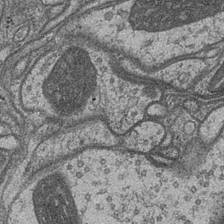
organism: Drosophila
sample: Optic medulla